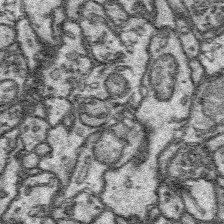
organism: Platynereis dumerilii